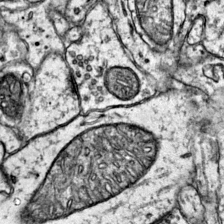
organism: Mouse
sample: Primary visual cortex